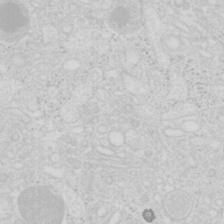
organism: Mouse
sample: Pancreas